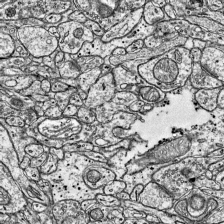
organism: Mouse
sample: Visual Cortex